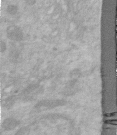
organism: Human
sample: Centriole in RPE cells